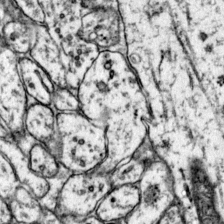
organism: Mouse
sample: Primary visual cortex